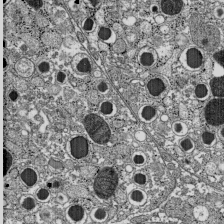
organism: C57BL Mouse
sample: Pancreatic islet